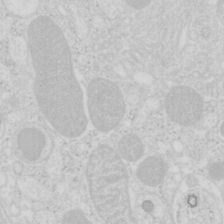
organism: Mouse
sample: Pancreas